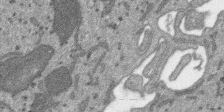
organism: Human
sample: Lung epithelial cells infected with SARS-CoV-2